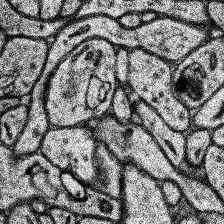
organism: Human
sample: Temporal Lobe